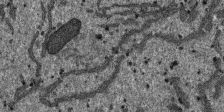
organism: Human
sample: Lung epithelial cells infected with SARS-CoV-2